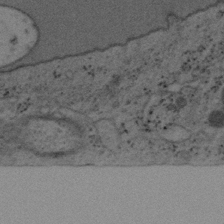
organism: Human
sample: HeLa cells